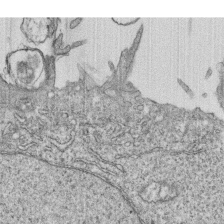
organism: Human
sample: HeLa cell HIV synapse